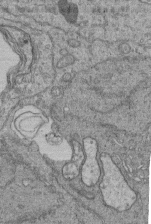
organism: Human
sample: Retinal organoid Rod and Cone cells